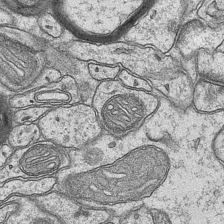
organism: Mouse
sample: CA1 Hippocampus